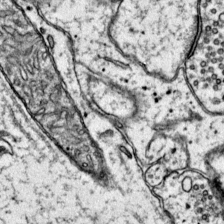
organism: Mouse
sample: Primary visual cortex